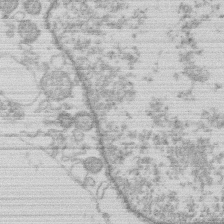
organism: Human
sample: Macrophage cells